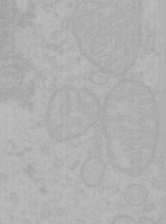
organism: Mouse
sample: Choroid plexus